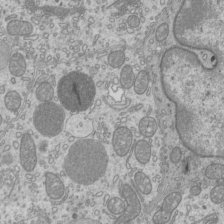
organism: Mouse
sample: Cilia; mouse epididymis